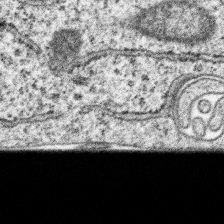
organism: Human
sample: HeLa cells